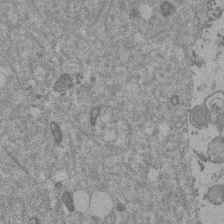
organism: Mouse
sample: Dividing mouse embryo 1 cell stage